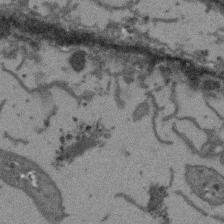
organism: Arabidopsis thaliana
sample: Root tip